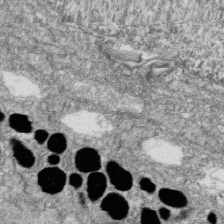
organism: Zebrafish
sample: Cilia; retinal pigment epithelium